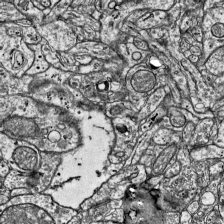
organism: Mouse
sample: Visual Cortex